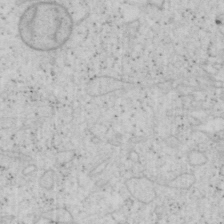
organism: Human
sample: HeLa cells